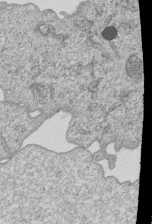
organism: Human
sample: MDA-MB-231 cells